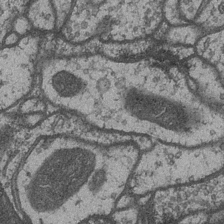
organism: Drosophila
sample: Optic medulla